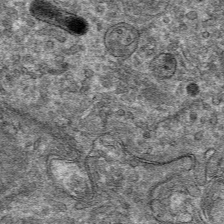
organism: Mouse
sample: Mouse hepatocytes